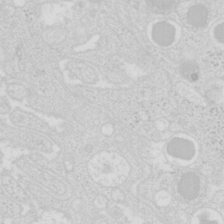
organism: Mouse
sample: Pancreas